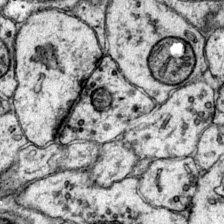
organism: Mouse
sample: Primary visual cortex